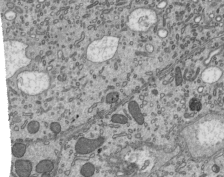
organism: Mouse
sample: Mouse epididymis efferent ductule cilia